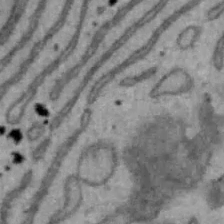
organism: Mouse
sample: Liver